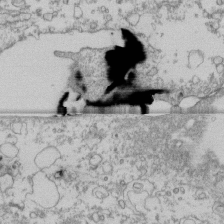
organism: Human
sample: Fibroblast cells